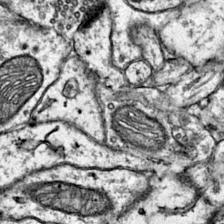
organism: Mouse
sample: Primary visual cortex